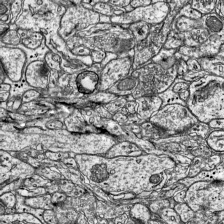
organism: Mouse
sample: Visual Cortex